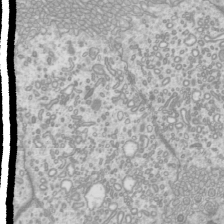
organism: Mouse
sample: Cilia; mouse epididymis